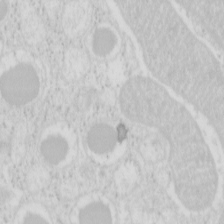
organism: Mouse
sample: Pancreas